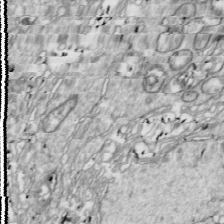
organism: Drosophila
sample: Cell division; meiosis; drosophila spermatocytes